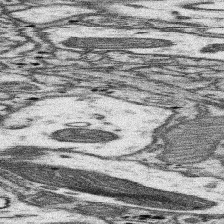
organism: Mouse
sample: Somatosensory cortex neuropil